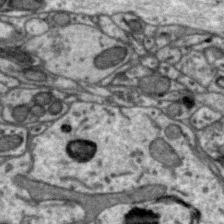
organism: Zebra finch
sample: Brain